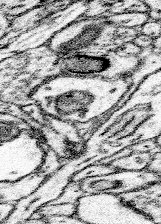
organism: Mouse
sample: Somatosensory cortex neuropil